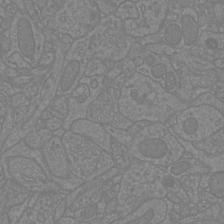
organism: Mouse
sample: Cortical neurons